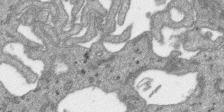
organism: Human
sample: Lung epithelial cells infected with SARS-CoV-2